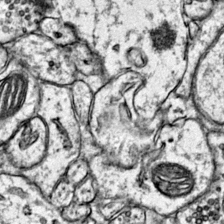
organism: Mouse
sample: Primary visual cortex